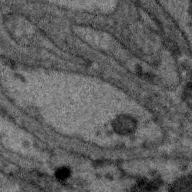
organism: Zebra finch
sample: Brain